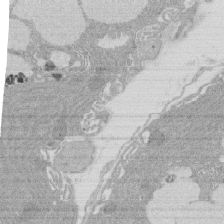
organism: Rat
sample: Salivary granule